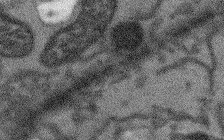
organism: Arabidopsis thaliana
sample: Root tip